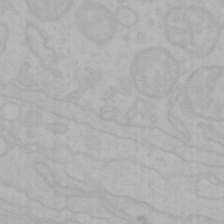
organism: Mouse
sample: Choroid plexus